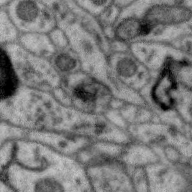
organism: Zebra finch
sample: Brain